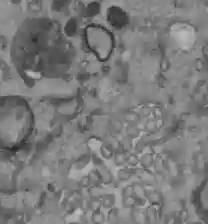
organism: C57BL Mouse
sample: Liver